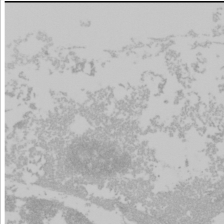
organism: Mouse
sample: Cancer cell death in ED-1 cells